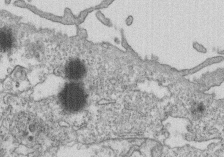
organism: Human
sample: HeLa cell HIV synapse